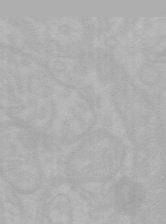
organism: Mouse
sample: Choroid plexus